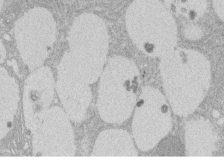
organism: Rat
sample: Salivary granule